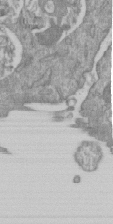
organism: Mouse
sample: ED-1 cell nuclei; centrioles